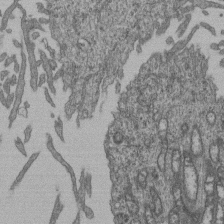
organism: Human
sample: Retinal organoid Rod and Cone cells